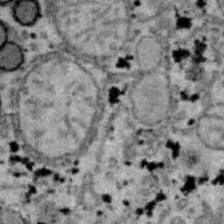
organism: Mouse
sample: Liver from an obese (ob/ob) mouse